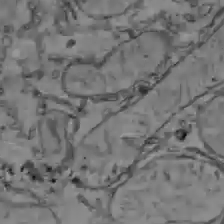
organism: C57BL Mouse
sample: Liver